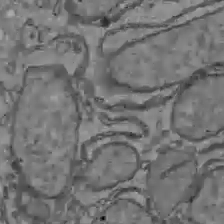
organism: C57BL Mouse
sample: Liver